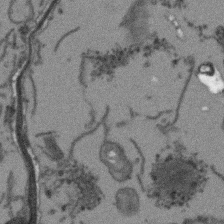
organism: Arabidopsis thaliana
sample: Root tip